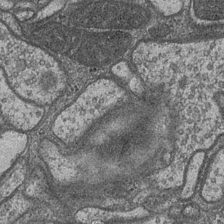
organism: Drosophila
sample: Optic medulla